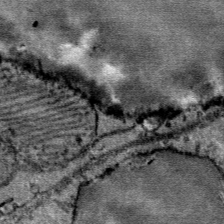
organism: Mouse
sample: Mouse Salivary gland